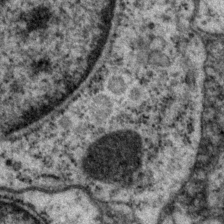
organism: P. pacificus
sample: Pharynx